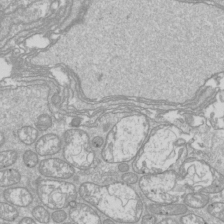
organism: Drosophila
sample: Cell division; meiosis; drosophila spermatocytes